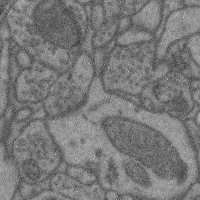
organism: Mouse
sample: Cerebral cortex